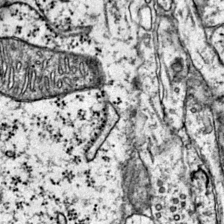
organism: Mouse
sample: Primary visual cortex